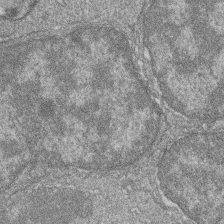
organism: Zebrafish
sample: Cilia; retinal pigment epithelium